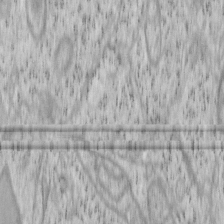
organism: Human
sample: HeLa cells